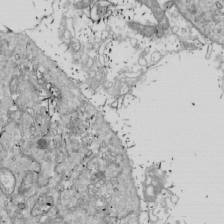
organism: Drosophila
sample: Cell division; meiosis; drosophila spermatocytes